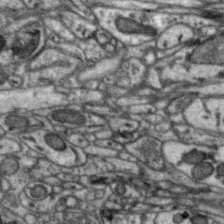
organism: Zebra finch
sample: Brain